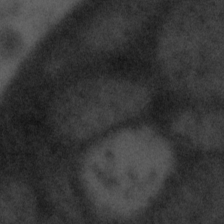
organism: Tuwongella immobilis